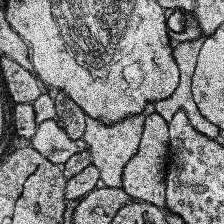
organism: Human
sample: Temporal Lobe